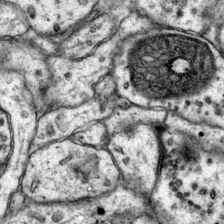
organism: Mouse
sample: Primary visual cortex